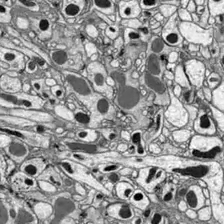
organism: Drosophila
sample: Optic lobe